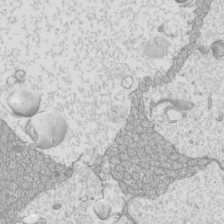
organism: Mouse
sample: Cilia; mouse epididymis